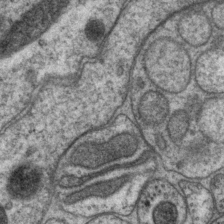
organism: P. pacificus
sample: Pharynx